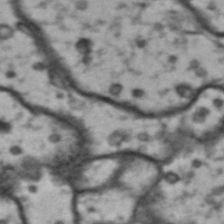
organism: Drosophila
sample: Brain